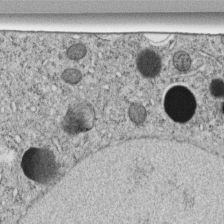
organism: C. elegans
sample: C. elegans embryo early stage